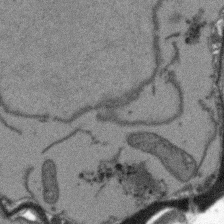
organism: Arabidopsis thaliana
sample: Root tip